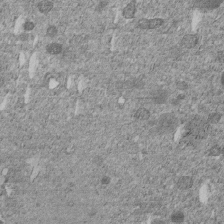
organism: C. elegans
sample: C. elegans embryo early stage